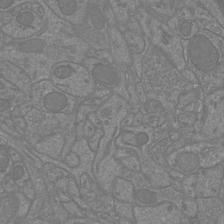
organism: Mouse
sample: Cortical neurons